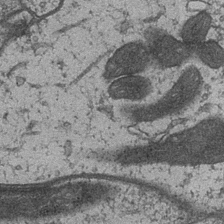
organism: Drosophila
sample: Optic medulla